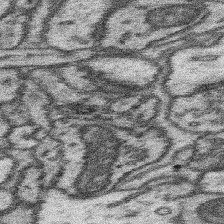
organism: Mouse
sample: Somatosensory cortex neuropil